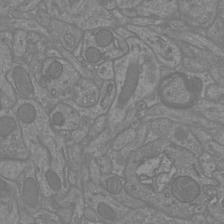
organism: Mouse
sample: Cortical neurons